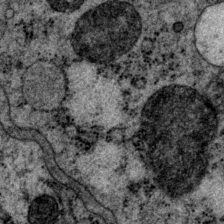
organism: P. pacificus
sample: Pharynx